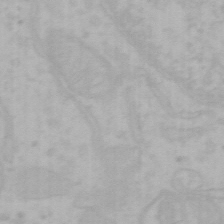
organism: Mouse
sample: Choroid plexus